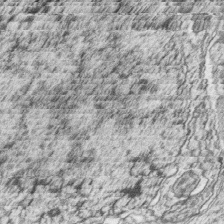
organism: Zebrafish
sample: synaptic ribbons in rod cells and cone cells